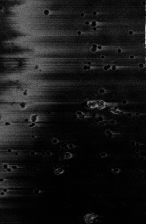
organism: Human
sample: Activated Jurkat CD4+ T cells